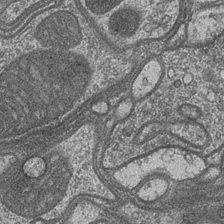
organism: Drosophila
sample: Optic medulla